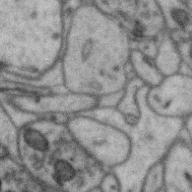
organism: Zebra finch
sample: Brain